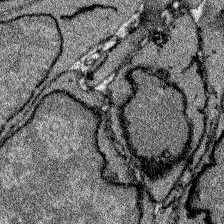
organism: Zebrafish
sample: Larval olfactory bulb